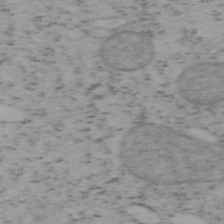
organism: Mouse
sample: OT-I killer T cells with ID8 ovarian cancer cells